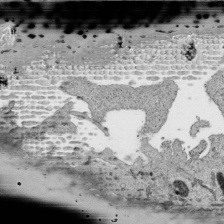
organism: Human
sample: Mitochondria in HCT116 cells